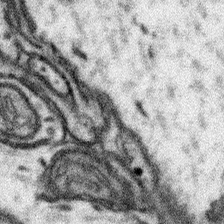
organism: Mouse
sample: Somatosensory cortex neuropil